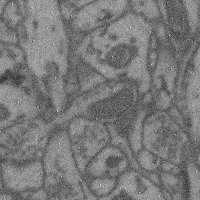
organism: Mouse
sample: Cerebral cortex